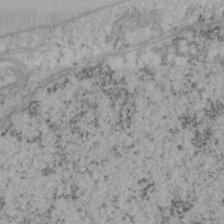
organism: Human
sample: HeLa cells